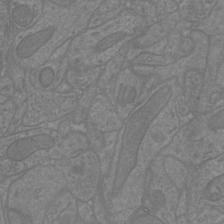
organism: Mouse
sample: Cortical neurons